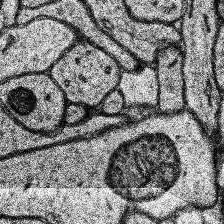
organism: Human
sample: Temporal Lobe